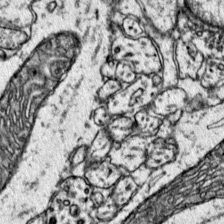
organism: Mouse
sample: Primary visual cortex